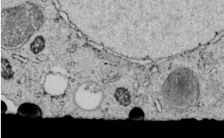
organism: C. elegans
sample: C. elegans embryo early stage